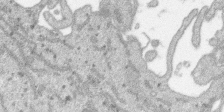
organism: Human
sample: Lung epithelial cells infected with SARS-CoV-2